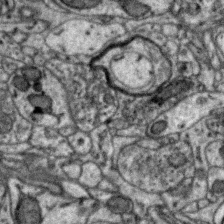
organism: Zebra finch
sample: Brain